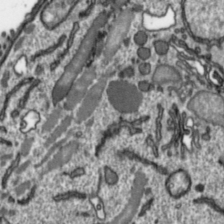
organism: Toxoplasma gondii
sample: Parasites in a vacuole inside a host cell